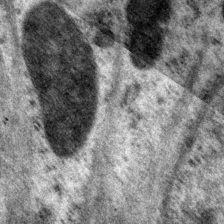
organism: P. pacificus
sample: Pharynx